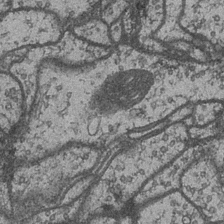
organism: Drosophila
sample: Optic medulla